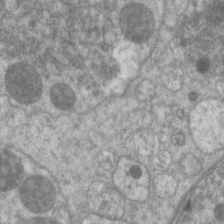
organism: C. elegans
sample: Pharynx